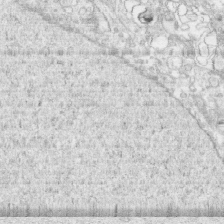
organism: Human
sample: CRL-1474